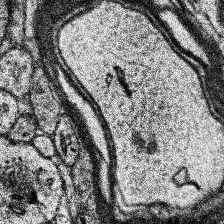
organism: Human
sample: Temporal Lobe